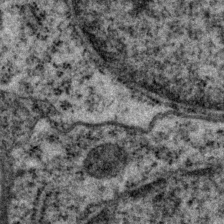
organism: P. pacificus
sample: Pharynx